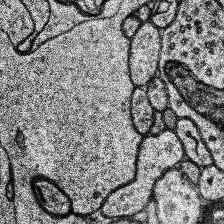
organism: Human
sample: Temporal Lobe